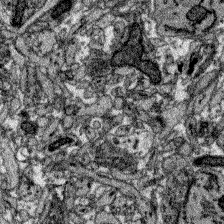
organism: Zebrafish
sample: Larval olfactory bulb